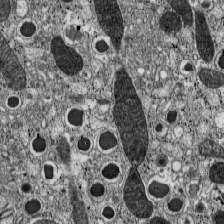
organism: C57BL Mouse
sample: Pancreatic islet